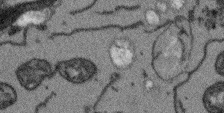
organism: Arabidopsis thaliana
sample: Root tip